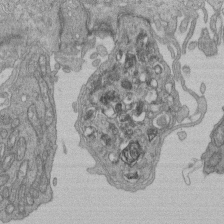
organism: Human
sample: Retinal organoid Rod and Cone cells